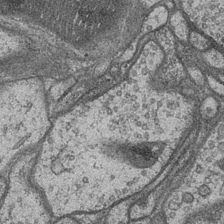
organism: Drosophila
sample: Optic medulla